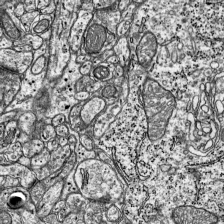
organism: Mouse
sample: Visual Cortex